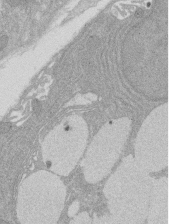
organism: Rat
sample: Salivary granule